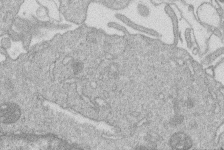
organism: Human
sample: Macrophage cells